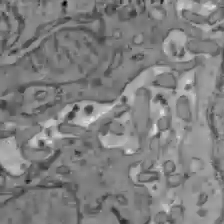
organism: C57BL Mouse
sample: Liver